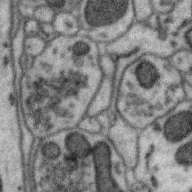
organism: Zebra finch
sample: Brain